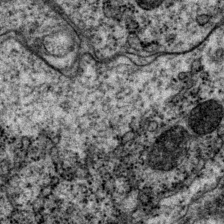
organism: P. pacificus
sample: Pharynx